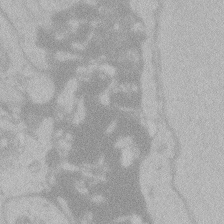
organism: Zebrafish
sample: Macrophage infected with Toxoplasma gondii